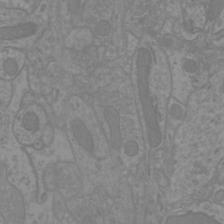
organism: Mouse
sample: Cortical neurons